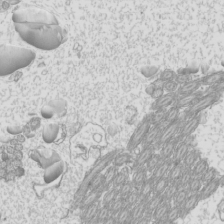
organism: Mouse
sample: Cilia; mouse epididymis